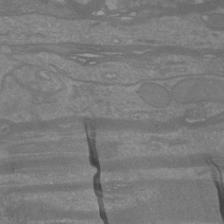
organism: Mouse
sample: Cortical neurons